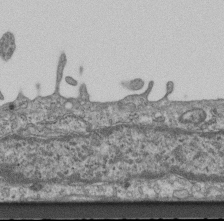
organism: Mouse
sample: Centriole in ependymal cells